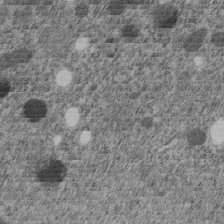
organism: C. elegans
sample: C. elegans embryo early stage